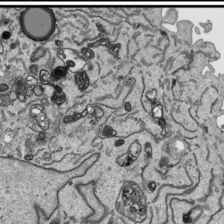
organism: Human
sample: Mitochondria in HCT116 cells